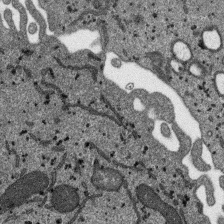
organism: Human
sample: Lung epithelial cells infected with SARS-CoV-2